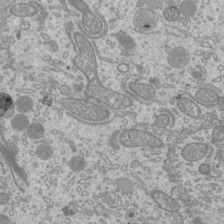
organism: Mouse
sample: Cilia; mouse epididymis